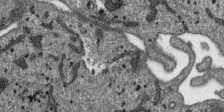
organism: Human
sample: Lung epithelial cells infected with SARS-CoV-2